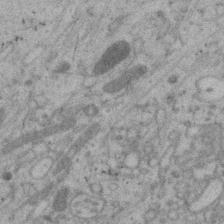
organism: Human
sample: HeLa cells